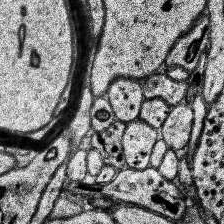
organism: Human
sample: Temporal Lobe